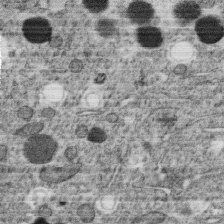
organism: C. elegans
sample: C. elegans oocyte; sperm cells